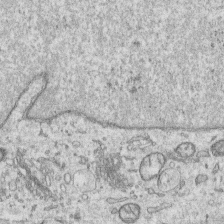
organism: Human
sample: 1205lu cells